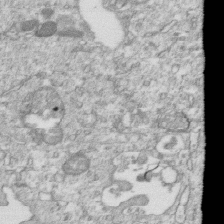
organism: Mouse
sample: Activated OT-1 CD8+ T cells